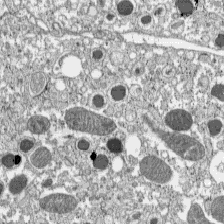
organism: C57BL Mouse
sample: Pancreatic islet